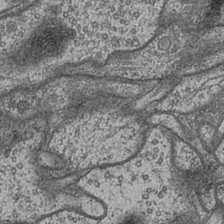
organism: Drosophila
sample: Optic medulla